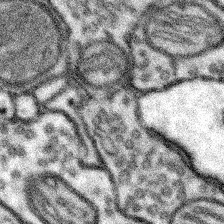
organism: Mouse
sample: Somatosensory cortex neuropil